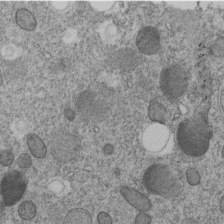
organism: C. elegans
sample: C. elegans embryo early stage